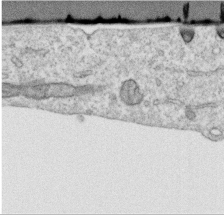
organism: Human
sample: Centriole in RPE cells